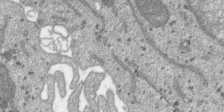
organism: Human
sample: Lung epithelial cells infected with SARS-CoV-2